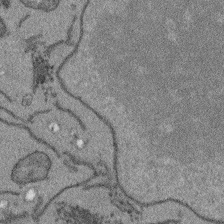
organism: Arabidopsis thaliana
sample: Root tip